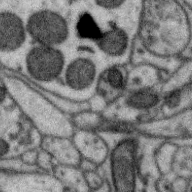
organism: Zebra finch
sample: Brain